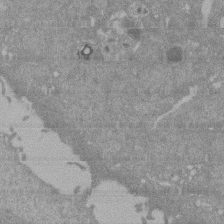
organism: Mouse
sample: ED-1 cell nuclei; centrioles